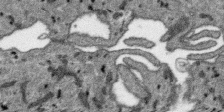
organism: Human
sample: Lung epithelial cells, uninfected (mock) control